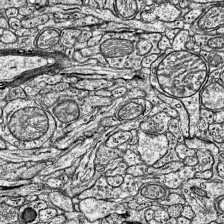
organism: Mouse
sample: Visual Cortex